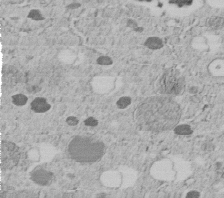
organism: C. elegans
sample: C. elegans embryo early stage